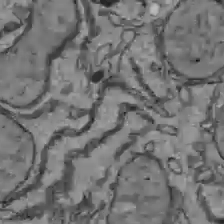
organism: C57BL Mouse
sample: Liver